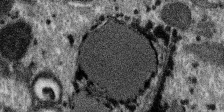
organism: Human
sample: Lung epithelial cells infected with SARS-CoV-2